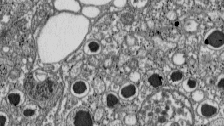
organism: C57BL Mouse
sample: Pancreatic islet